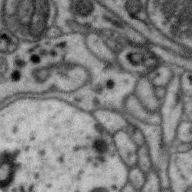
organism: Zebra finch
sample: Brain